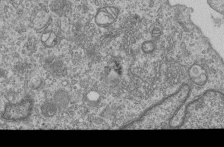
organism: Human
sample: MDA-MB-231 cells